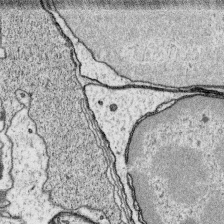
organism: Platynereis dumerilii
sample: Parapodia